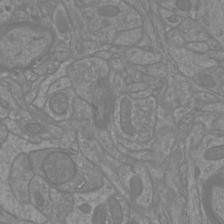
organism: Mouse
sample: Cortical neurons